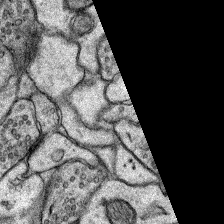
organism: Rat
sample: Hippocampus